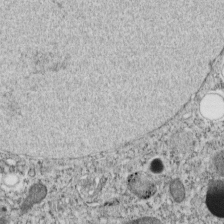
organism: C. elegans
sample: C. elegans embryo early stage